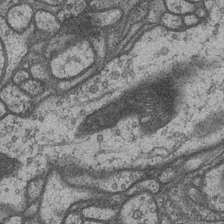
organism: Drosophila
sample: Optic medulla